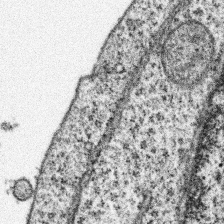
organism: Human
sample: HeLa cells